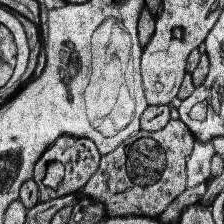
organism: Human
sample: Temporal Lobe